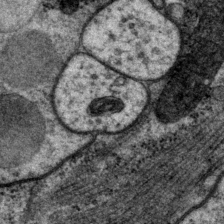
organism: P. pacificus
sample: Pharynx